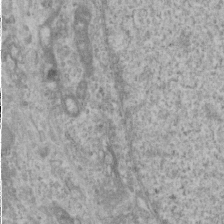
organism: Human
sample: Cilia; basal body in RPE cells